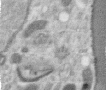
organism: Human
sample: Centriole in RPE cells